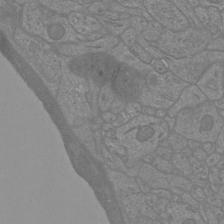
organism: Mouse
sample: Cortical neurons